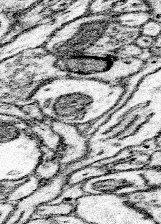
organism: Mouse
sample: Somatosensory cortex neuropil